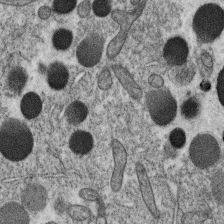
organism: C. elegans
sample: C. elegans oocyte; sperm cells